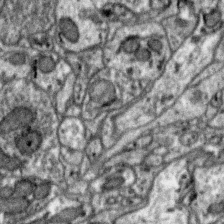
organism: Zebra finch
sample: Brain